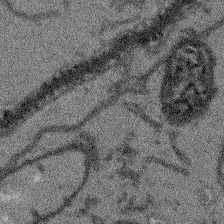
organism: Arabidopsis thaliana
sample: Root tip